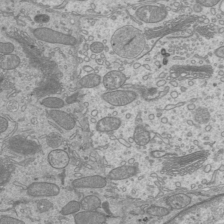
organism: Mouse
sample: Cilia; mouse epididymis